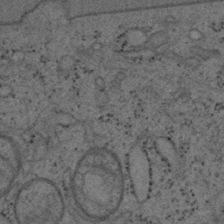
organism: Human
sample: HeLa cells